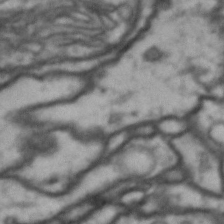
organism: Drosophila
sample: Brain